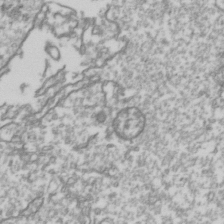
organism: Drosophila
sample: Cell division; meiosis; drosophila spermatocytes